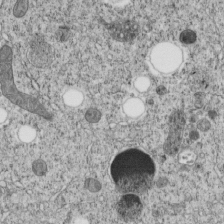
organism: C. elegans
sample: C. elegans embryo early stage